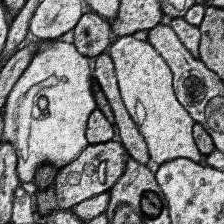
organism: Human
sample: Temporal Lobe